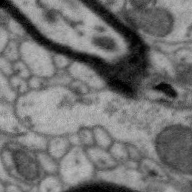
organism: Zebra finch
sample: Brain